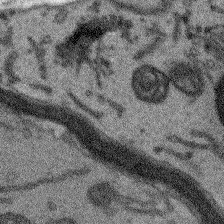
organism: Arabidopsis thaliana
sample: Root tip